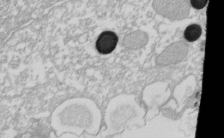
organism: Xenopus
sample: Cilia; centrioles in frog embryo cells